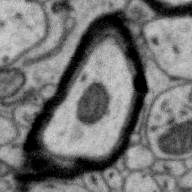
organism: Zebra finch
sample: Brain